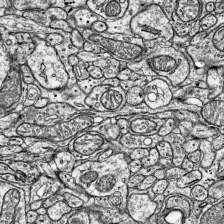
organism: Mouse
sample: Visual Cortex